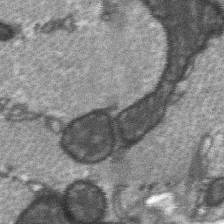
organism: C57BL Mouse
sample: Soleus